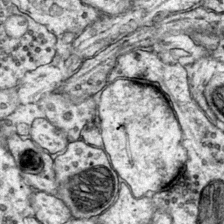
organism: Mouse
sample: Primary visual cortex